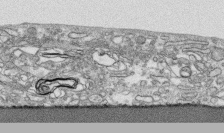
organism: Human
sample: CRL-1474